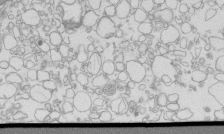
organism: Mouse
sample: Macrophages